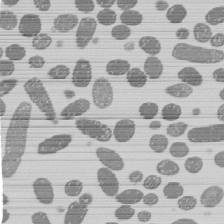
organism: E. coli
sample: Bacterial nucleoid